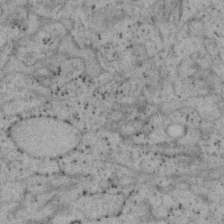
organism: Human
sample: HeLa cells